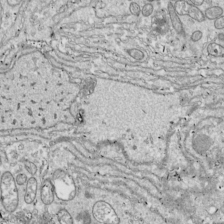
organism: Drosophila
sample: Cell division; meiosis; drosophila spermatocytes